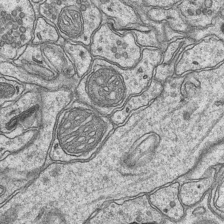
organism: Mouse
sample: CA1 Hippocampus